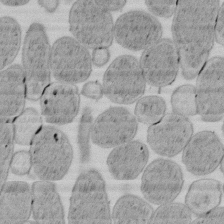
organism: E. coli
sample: Bacterial nucleoid